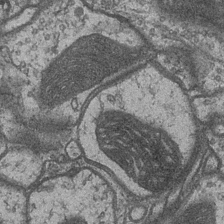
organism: Drosophila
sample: Optic medulla